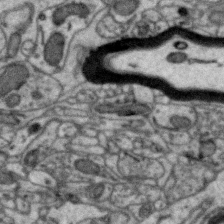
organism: Zebra finch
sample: Brain